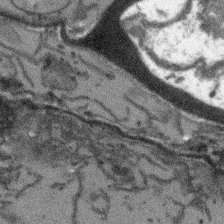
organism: Arabidopsis thaliana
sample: Root tip